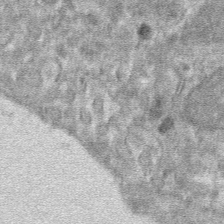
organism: Mouse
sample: Mouse hepatocytes